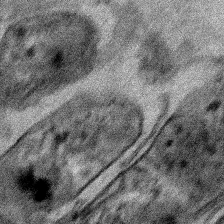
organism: Human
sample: Mitochondria in HCT116 cells